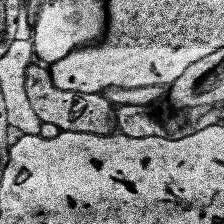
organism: Human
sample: Temporal Lobe